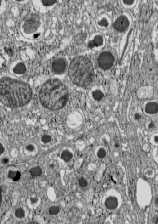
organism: C57BL Mouse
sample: Pancreatic islet